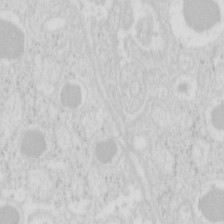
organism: Mouse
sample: Pancreas